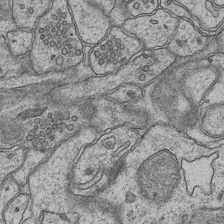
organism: Mouse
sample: CA1 Hippocampus